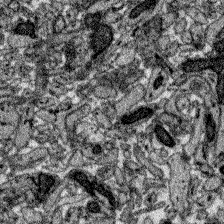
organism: Zebrafish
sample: Larval olfactory bulb